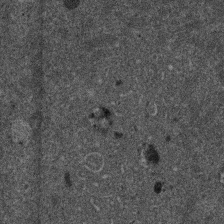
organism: Mouse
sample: Dividing mouse embryo 1 cell stage